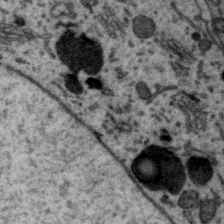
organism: Zebra finch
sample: Brain